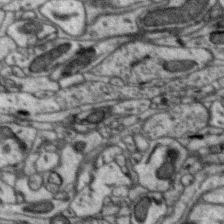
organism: Zebra finch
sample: Brain